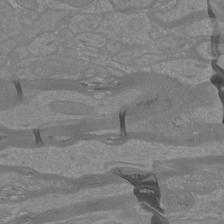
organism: Mouse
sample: Cortical neurons